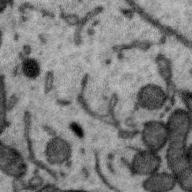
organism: Zebra finch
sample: Brain